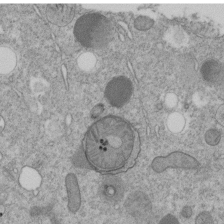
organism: C. elegans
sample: C. elegans embryo early stage